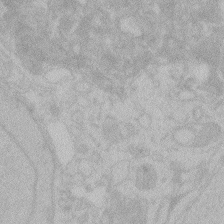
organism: Zebrafish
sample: Macrophage infected with Toxoplasma gondii